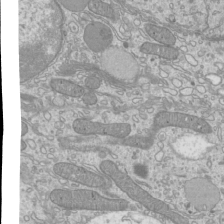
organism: Mouse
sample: Cilia; mouse epididymis